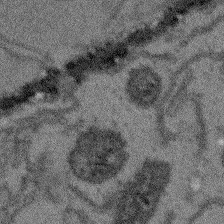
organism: Arabidopsis thaliana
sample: Root tip